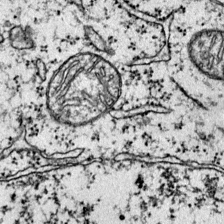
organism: Mouse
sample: Primary visual cortex